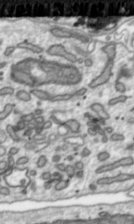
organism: Toxoplasma gondii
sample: Parasites in a vacuole inside a host cell